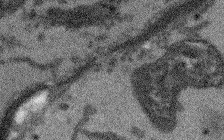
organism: Arabidopsis thaliana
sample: Root tip